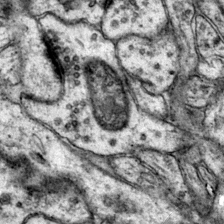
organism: Mouse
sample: Primary visual cortex